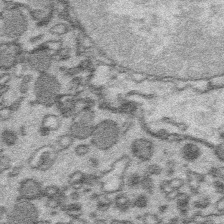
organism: Platynereis dumerilii